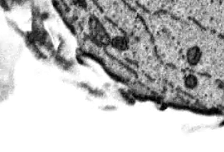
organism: Human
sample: HeLa cells